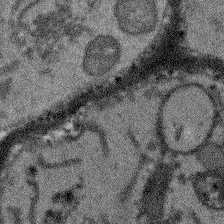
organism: Arabidopsis thaliana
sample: Root tip